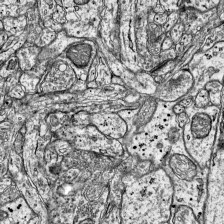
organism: Mouse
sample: Visual Cortex